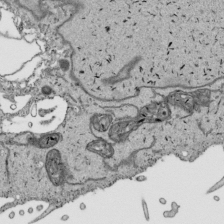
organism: Human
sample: Mitochondria in HCT116 cells